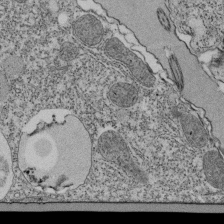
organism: Tetrahymena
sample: Cilia in tetrahymena